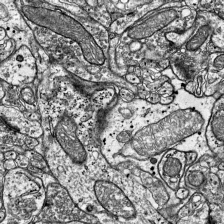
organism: Mouse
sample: Visual Cortex